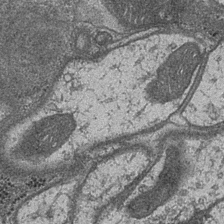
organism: Drosophila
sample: Optic medulla